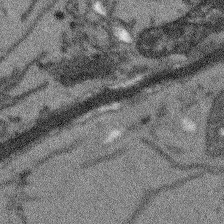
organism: Arabidopsis thaliana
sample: Root tip